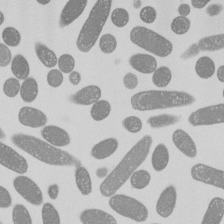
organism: E. coli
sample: Bacterial nucleoid